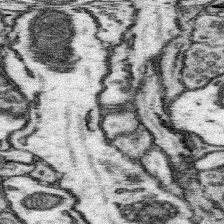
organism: Mouse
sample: Somatosensory cortex neuropil